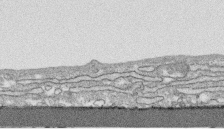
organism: Human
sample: CRL-1474